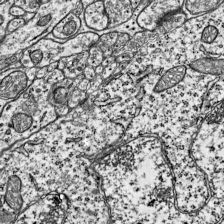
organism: Mouse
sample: Visual Cortex